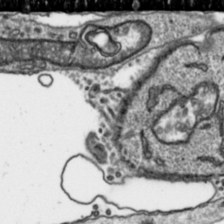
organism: Toxoplasma gondii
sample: Parasites in a vacuole inside a host cell